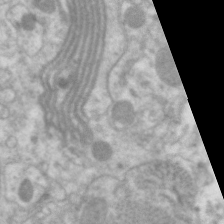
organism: C. elegans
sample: Pharynx